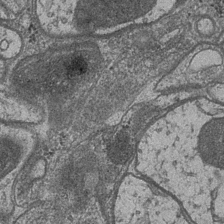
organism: Drosophila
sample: Optic medulla